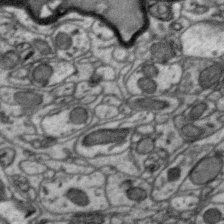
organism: Zebra finch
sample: Brain